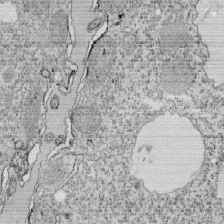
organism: Tetrahymena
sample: Cilia in tetrahymena